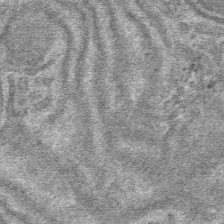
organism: Mouse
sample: Mouse hepatocytes